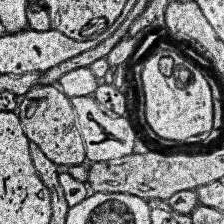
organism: Human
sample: Temporal Lobe